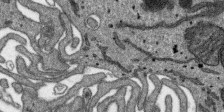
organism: Human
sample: Lung epithelial cells, uninfected (mock) control